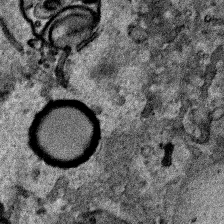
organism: Human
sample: Mitochondria in HCT116 cells